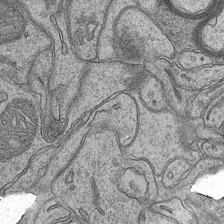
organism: Mouse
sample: CA1 Hippocampus